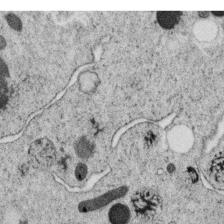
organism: C. elegans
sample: C. elegans oocyte; sperm cells